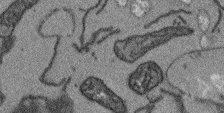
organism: Arabidopsis thaliana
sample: Root tip